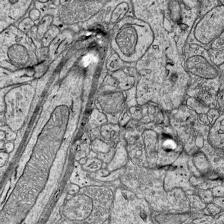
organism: Mouse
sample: Visual Cortex